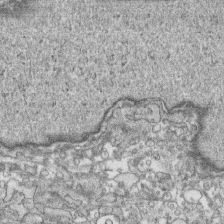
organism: Human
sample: CRL-1474